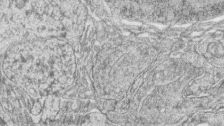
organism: Zebrafish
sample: synaptic ribbons in rod cells and cone cells